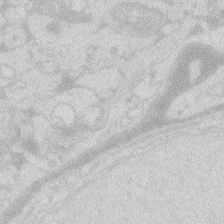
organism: Zebrafish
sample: Macrophage